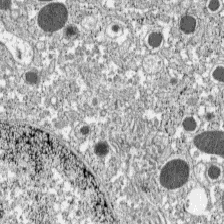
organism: C57BL Mouse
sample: Pancreatic islet